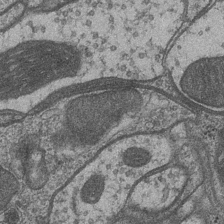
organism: Drosophila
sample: Optic medulla